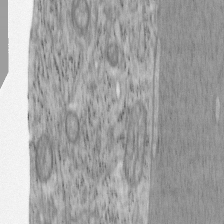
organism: Human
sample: HeLa cells